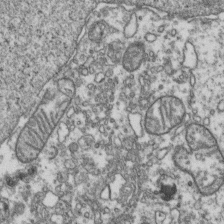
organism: Human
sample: Activated Jurkat CD4+ T cells